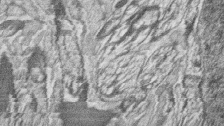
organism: Zebrafish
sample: synaptic ribbons in rod cells and cone cells